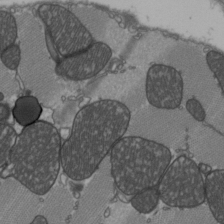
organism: C57BL Mouse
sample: Heart